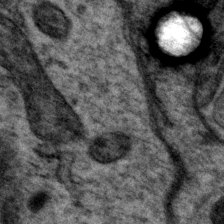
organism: P. pacificus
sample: Pharynx